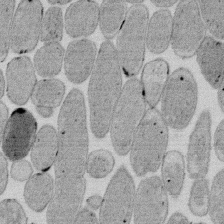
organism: E. coli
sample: Bacterial nucleoid